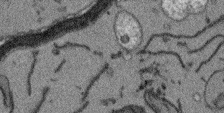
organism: Arabidopsis thaliana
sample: Root tip